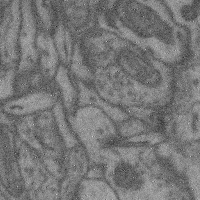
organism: Mouse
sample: Cerebral cortex